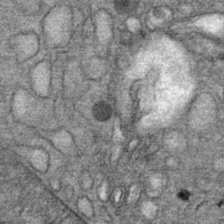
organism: Mouse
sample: Mouse Salivary gland